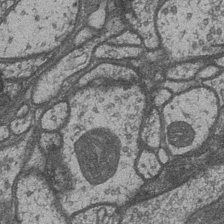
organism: Drosophila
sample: Optic medulla